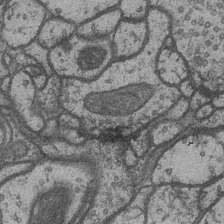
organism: Drosophila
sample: Optic medulla